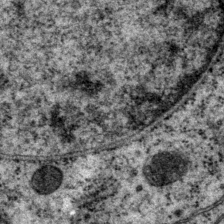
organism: P. pacificus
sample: Pharynx